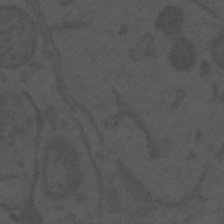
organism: Mouse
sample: Suprachiasmatic nucleus